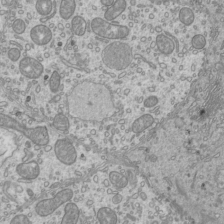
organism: Mouse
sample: Cilia; mouse epididymis